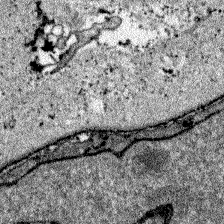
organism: Zebrafish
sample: Larval olfactory bulb